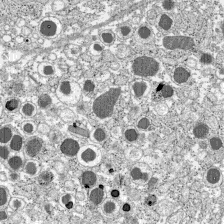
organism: C57BL Mouse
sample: Pancreatic islet